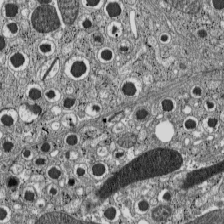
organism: C57BL Mouse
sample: Pancreatic islet